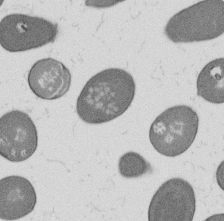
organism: B. subtilis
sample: Bacterial spore